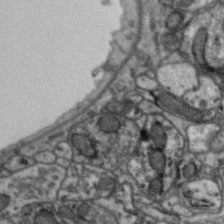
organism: Zebra finch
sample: Brain